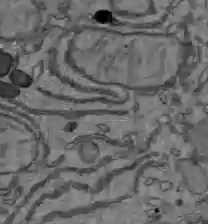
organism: C57BL Mouse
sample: Liver